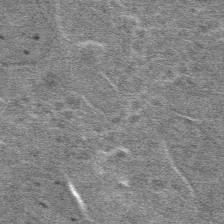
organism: Mouse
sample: Mouse hepatocytes